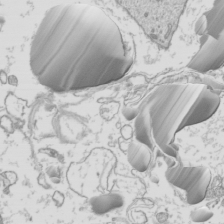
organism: Mouse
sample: Cilia; mouse epididymis